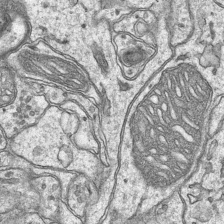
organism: Mouse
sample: CA1 Hippocampus